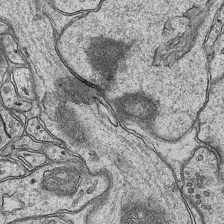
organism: Mouse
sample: CA1 Hippocampus